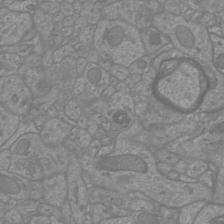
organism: Mouse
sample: Cortical neurons